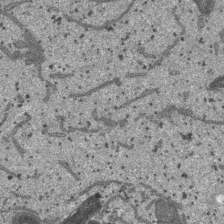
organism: Human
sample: Lung epithelial cells infected with SARS-CoV-2